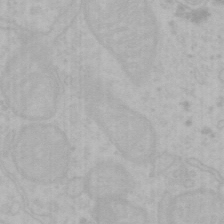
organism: Mouse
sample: Choroid plexus